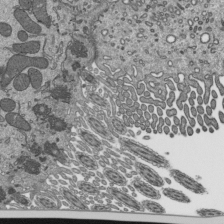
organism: Mouse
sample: Mouse epididymis efferent ductule cilia